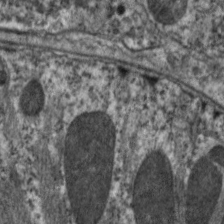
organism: C. elegans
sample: Pharynx